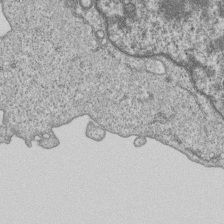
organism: Human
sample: MDA-MB-231 cells